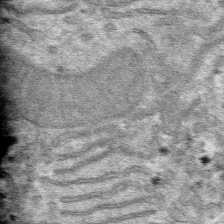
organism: Mouse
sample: Mouse hepatocytes